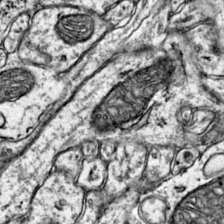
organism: Mouse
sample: Primary visual cortex